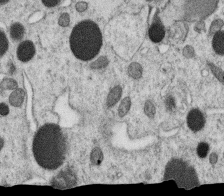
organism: C. elegans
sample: C. elegans oocyte; sperm cells